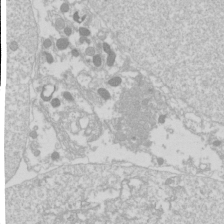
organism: Drosophila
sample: Cell division; meiosis; drosophila spermatocytes